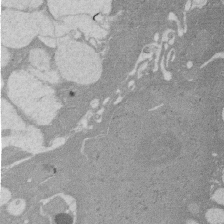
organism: Rat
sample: Salivary granule